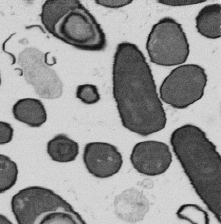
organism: B. subtilis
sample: Bacterial spore